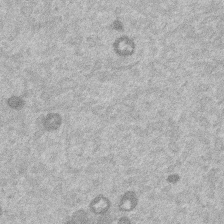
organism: Mouse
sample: Dividing mouse embryo 1 cell stage